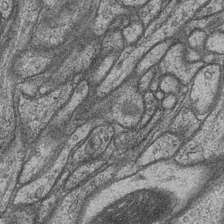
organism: Drosophila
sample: Optic medulla